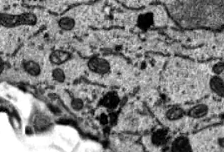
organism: Human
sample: HeLa cells